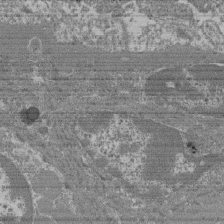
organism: Mouse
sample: Glomerulus